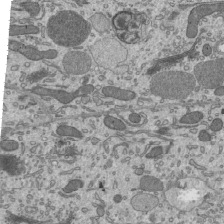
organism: Mouse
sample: Mouse epididymis efferent ductule cilia